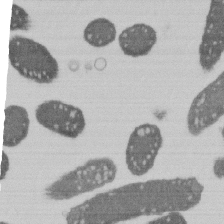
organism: E. coli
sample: Bacterial nucleoid